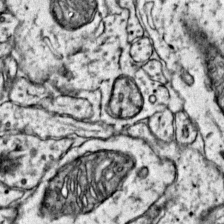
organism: Mouse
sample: Primary visual cortex